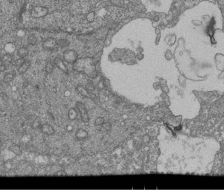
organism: Human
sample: Retinal organoid Rod and Cone cells